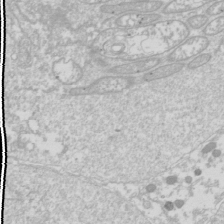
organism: Drosophila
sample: Cell division; meiosis; drosophila spermatocytes